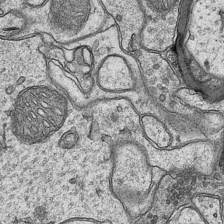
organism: Mouse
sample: CA1 Hippocampus